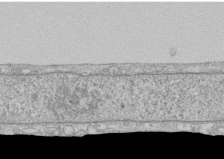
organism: Human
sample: CRL-1474